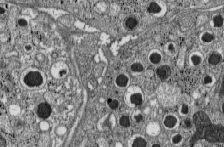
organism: C57BL Mouse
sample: Pancreatic islet